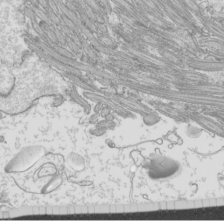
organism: Mouse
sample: Cilia; mouse epididymis